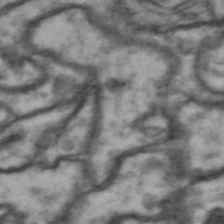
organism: Drosophila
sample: Brain